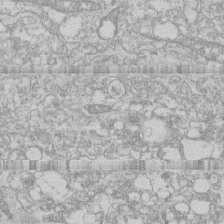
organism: Human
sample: CRL-1474